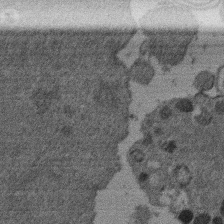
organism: Mouse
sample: Dividing mouse embryo 1 cell stage